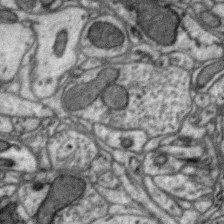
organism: Zebra finch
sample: Brain